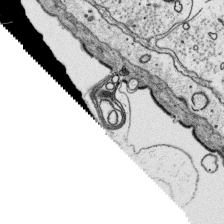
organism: Platynereis dumerilii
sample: Parapodia